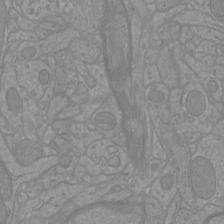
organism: Mouse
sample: Cortical neurons